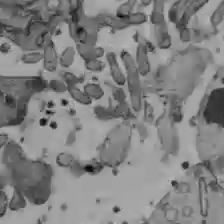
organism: C57BL Mouse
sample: Liver